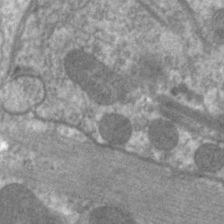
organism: C. elegans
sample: Pharynx